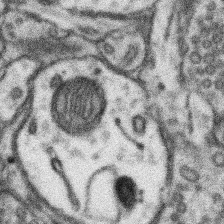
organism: Mouse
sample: Somatosensory cortex neuropil